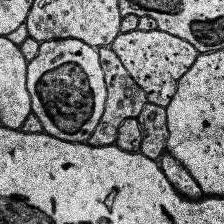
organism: Human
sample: Temporal Lobe